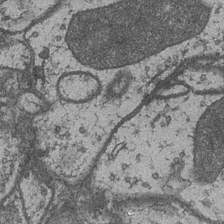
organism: Drosophila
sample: Optic medulla